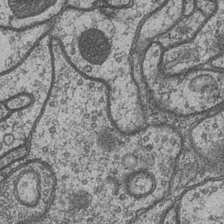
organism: Drosophila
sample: Optic medulla